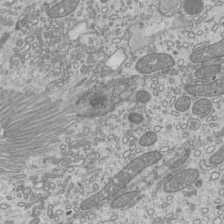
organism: Mouse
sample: Cilia; mouse epididymis